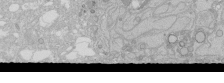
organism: Human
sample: Caco-2 cells